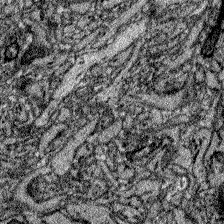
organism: Zebrafish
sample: Larval olfactory bulb